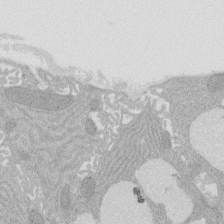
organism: Rat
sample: Salivary granule